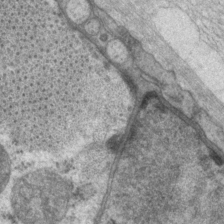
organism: P. pacificus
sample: Pharynx